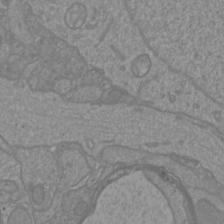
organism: Mouse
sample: Cortical neurons